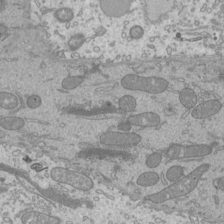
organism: Mouse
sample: Cilia; mouse epididymis